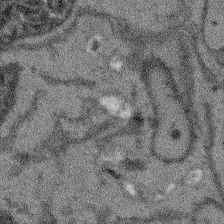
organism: Arabidopsis thaliana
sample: Root tip